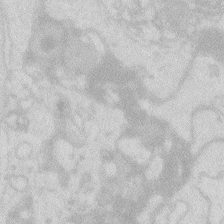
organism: Zebrafish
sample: Macrophage